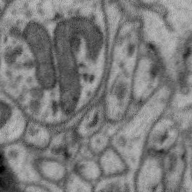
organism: Zebra finch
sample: Brain